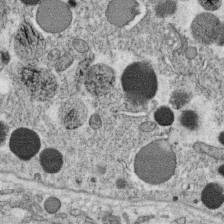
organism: C. elegans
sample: C. elegans oocyte; sperm cells